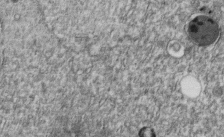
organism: C. elegans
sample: C. elegans embryo early stage